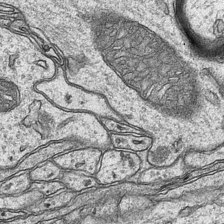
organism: Mouse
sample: CA1 Hippocampus